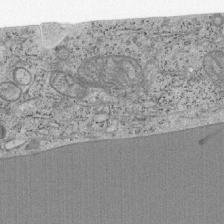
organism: Human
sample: HeLa cells